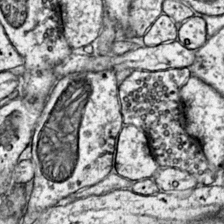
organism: Mouse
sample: Primary visual cortex